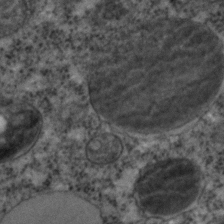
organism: C. elegans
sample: C. elegans embryo